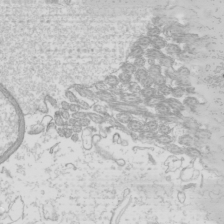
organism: Mouse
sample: Cilia; mouse epididymis